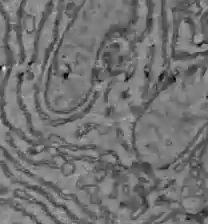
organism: C57BL Mouse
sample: Liver